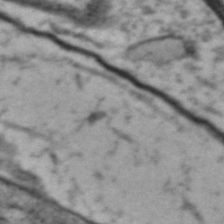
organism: Drosophila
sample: Brain